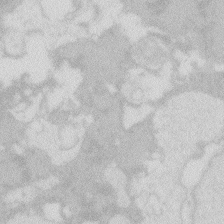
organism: Zebrafish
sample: Macrophage